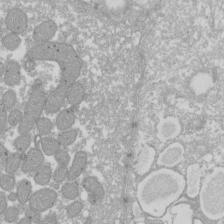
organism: Xenopus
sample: Cilia; centrioles in frog embryo cells